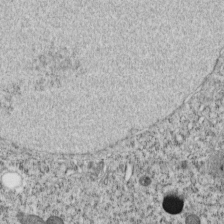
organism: C. elegans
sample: C. elegans embryo early stage